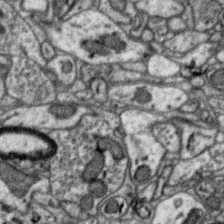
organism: Zebra finch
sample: Brain